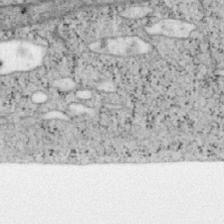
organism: Mouse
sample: OT-I killer T cells with ID8 ovarian cancer cells